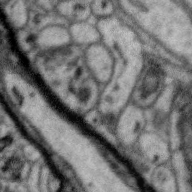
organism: Zebra finch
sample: Brain